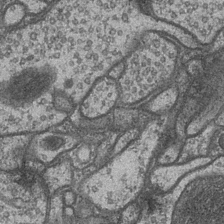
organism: Drosophila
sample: Optic medulla